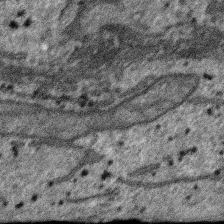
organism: Human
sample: Lung epithelial cells infected with SARS-CoV-2